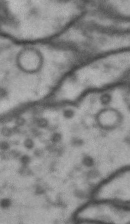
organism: Drosophila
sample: Brain